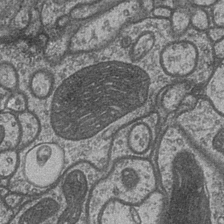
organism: Drosophila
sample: Optic medulla